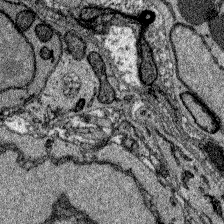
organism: Zebrafish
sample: Larval olfactory bulb